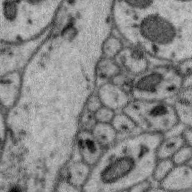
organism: Zebra finch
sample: Brain